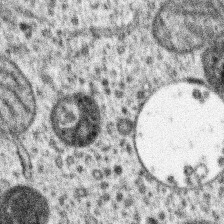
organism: Human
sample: HeLa cells